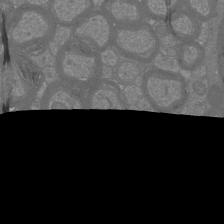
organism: Mouse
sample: Cortical neurons